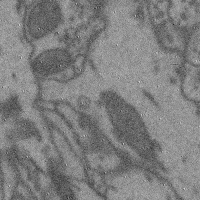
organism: Mouse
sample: Cerebral cortex